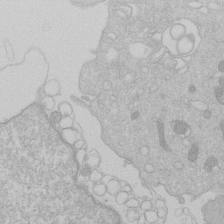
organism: Human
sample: Macrophage cells